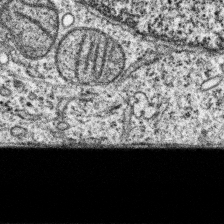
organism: Human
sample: HeLa cells